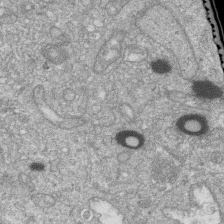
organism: Human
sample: HeLa cell HIV synapse